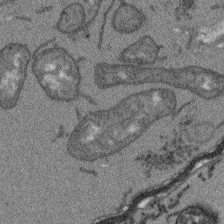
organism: Arabidopsis thaliana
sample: Root tip